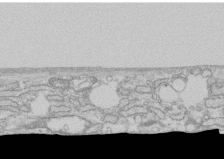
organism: Human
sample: CRL-1474